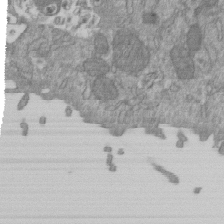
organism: Mouse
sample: ED-1 cell nuclei; centrioles